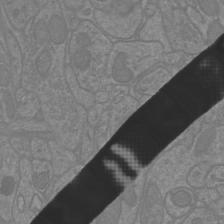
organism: Mouse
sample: Cortical neurons